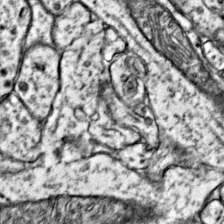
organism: Mouse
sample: Primary visual cortex